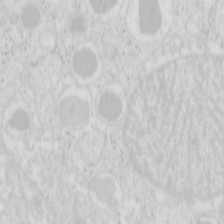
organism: Mouse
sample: Pancreas